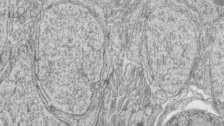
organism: Zebrafish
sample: synaptic ribbons in rod cells and cone cells